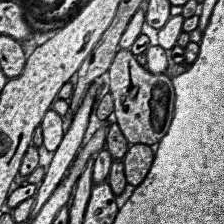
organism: Human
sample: Temporal Lobe